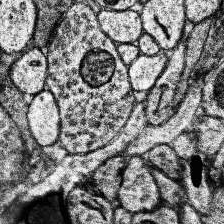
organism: Human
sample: Temporal Lobe